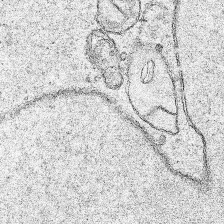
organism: Human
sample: Mitochondria in HCT116 cells